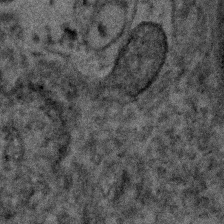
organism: Human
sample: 1205lu cells